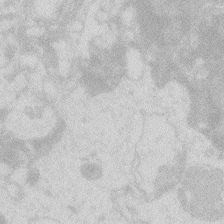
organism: Zebrafish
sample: Macrophage